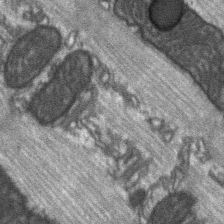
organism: C57BL Mouse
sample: Soleus